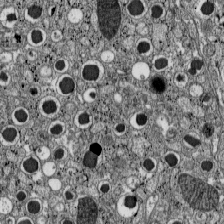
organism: C57BL Mouse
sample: Pancreatic islet